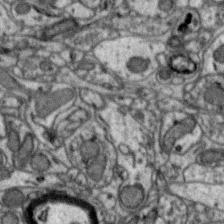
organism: Zebra finch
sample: Brain